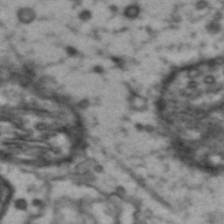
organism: Drosophila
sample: Brain